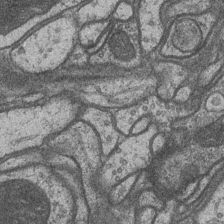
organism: Drosophila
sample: Optic medulla